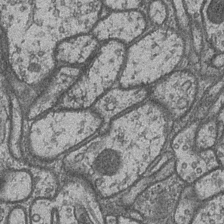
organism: Drosophila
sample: Optic medulla